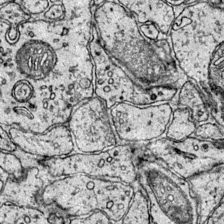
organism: Mouse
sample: Primary visual cortex